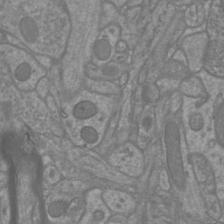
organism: Mouse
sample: Cortical neurons